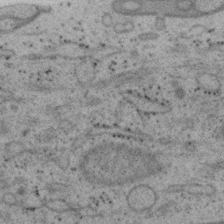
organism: Human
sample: HeLa cells